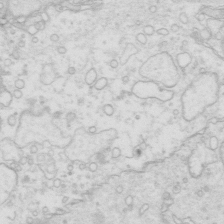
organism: Mouse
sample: Multiciliated cells